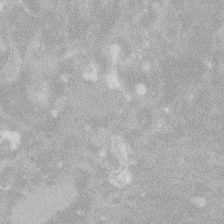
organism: Zebrafish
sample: Macrophage